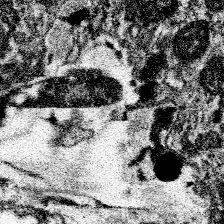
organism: Spongilla lacustris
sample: Neuroid cell